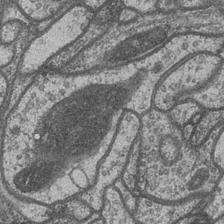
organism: Drosophila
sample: Optic medulla